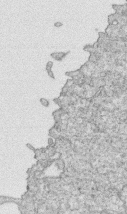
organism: Human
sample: HeLa cell HIV synapse